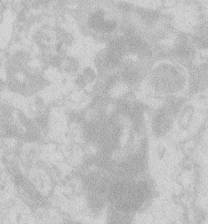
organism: Zebrafish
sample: Macrophage